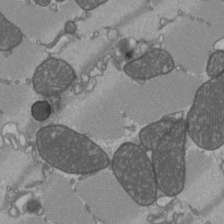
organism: C57BL Mouse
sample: Heart